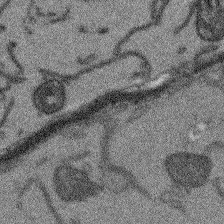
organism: Arabidopsis thaliana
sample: Root tip